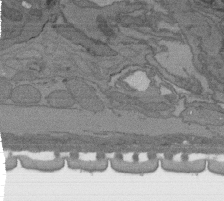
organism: C. elegans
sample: AFD neurons C. elegans